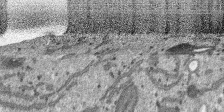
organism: Human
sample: Lung epithelial cells infected with SARS-CoV-2